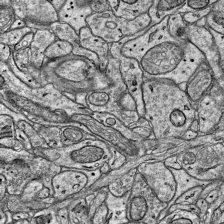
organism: Mouse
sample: Visual Cortex